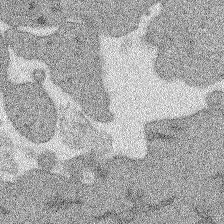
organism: Human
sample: HeLa cells